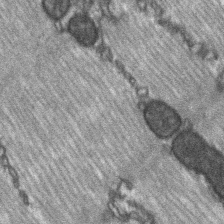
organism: C57BL Mouse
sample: Soleus